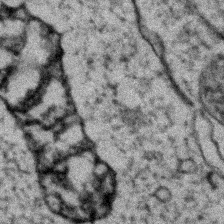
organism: Zebrafish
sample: Zebrafish embryo